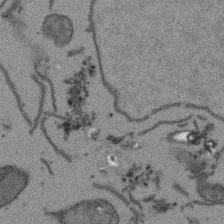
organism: Arabidopsis thaliana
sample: Root tip